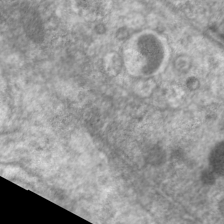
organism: C. elegans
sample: Pharynx